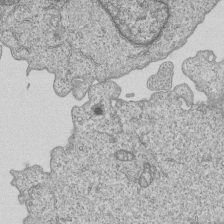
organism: Human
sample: MDA-MB-231 cells